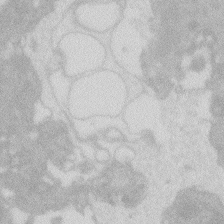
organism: Zebrafish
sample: Macrophage